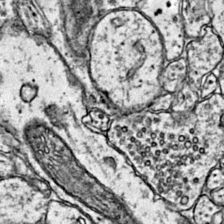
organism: Mouse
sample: Primary visual cortex